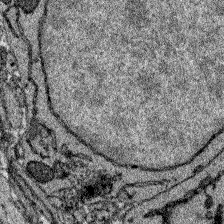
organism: Zebrafish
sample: Larval olfactory bulb